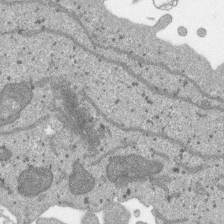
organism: Human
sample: Lung epithelial cells infected with SARS-CoV-2